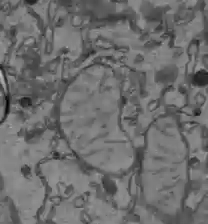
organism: C57BL Mouse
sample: Liver